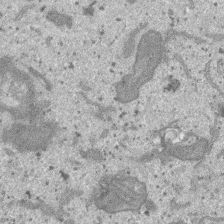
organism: Human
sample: Lung epithelial cells infected with SARS-CoV-2